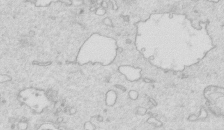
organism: Mouse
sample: Multiciliated cells